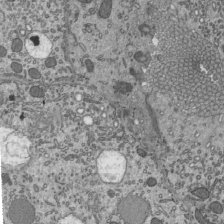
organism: Mouse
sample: Mouse epididymis efferent ductule cilia